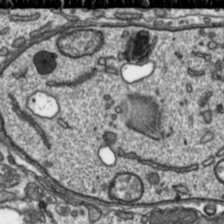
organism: Toxoplasma gondii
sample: Parasites in a vacuole inside a host cell